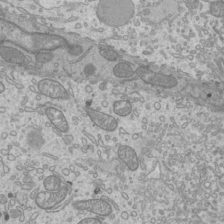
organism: Mouse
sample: Cilia; mouse epididymis